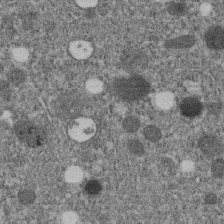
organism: C. elegans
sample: C. elegans embryo early stage